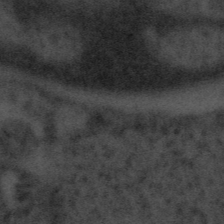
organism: Tuwongella immobilis